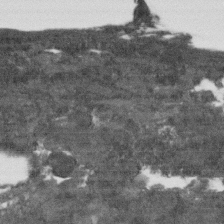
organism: Human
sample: Fibroblast cells